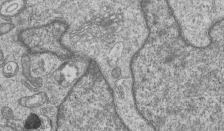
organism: Human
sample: MDA-MB-231 cells